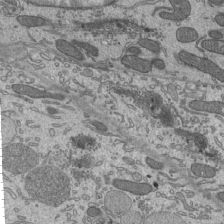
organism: Mouse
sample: Mouse epididymis efferent ductule cilia